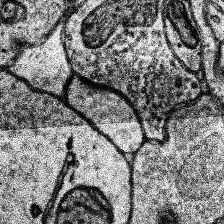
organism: Human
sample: Temporal Lobe